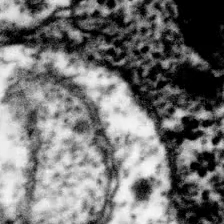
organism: Human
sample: HCT116 cells